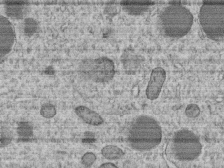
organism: C. elegans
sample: C. elegans embryo early stage